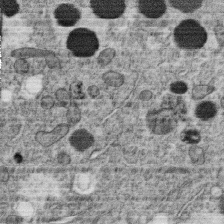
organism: C. elegans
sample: C. elegans oocyte; sperm cells